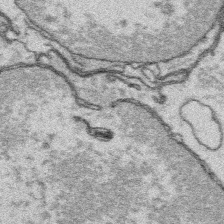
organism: Platynereis dumerilii